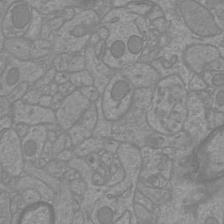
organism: Mouse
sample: Cortical neurons